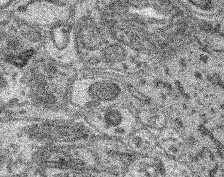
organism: Mouse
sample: Retina